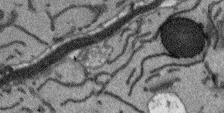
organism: Arabidopsis thaliana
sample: Root tip